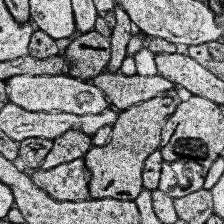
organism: Human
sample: Temporal Lobe